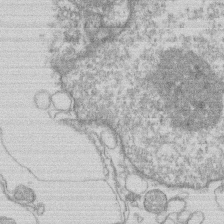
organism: Human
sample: Macrophage cells